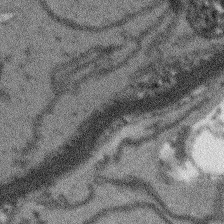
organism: Arabidopsis thaliana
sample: Root tip